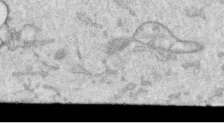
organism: Human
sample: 1205lu cells